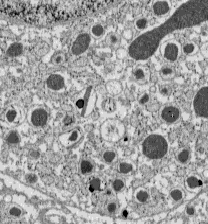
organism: C57BL Mouse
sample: Pancreatic islet